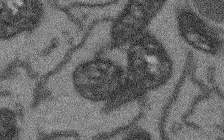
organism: Arabidopsis thaliana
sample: Root tip